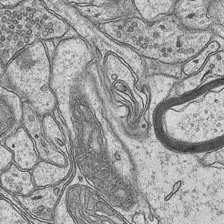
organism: Mouse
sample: CA1 Hippocampus